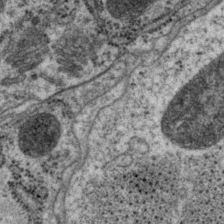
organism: P. pacificus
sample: Pharynx